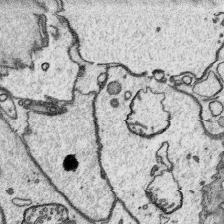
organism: Platynereis dumerilii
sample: Parapodia